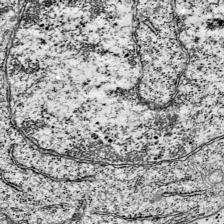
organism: Mouse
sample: Visual Cortex